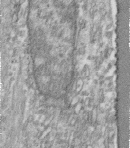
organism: Human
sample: Centriole in fibroblast cells